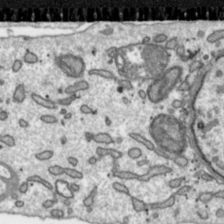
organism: Toxoplasma gondii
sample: Parasites in a vacuole inside a host cell